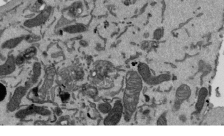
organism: Mouse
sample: ED-1 cell nuclei; centrioles